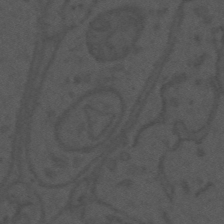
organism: Mouse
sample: Suprachiasmatic nucleus